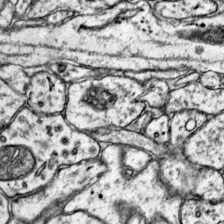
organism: Mouse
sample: Primary visual cortex